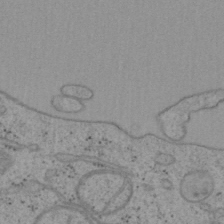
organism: Human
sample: HeLa cells